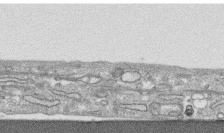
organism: Human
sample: CRL-1474